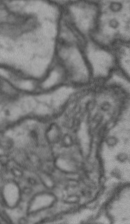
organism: Drosophila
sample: Brain